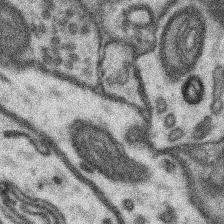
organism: Mouse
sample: Somatosensory cortex neuropil